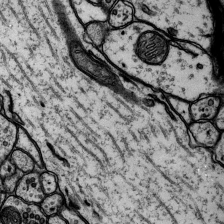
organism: Rat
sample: Hippocampus